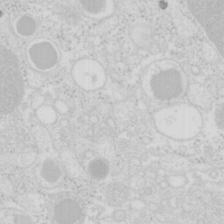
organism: Mouse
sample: Pancreas